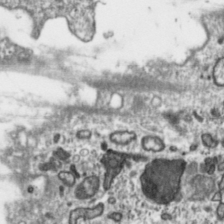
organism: Toxoplasma gondii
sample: Parasites in a vacuole inside a host cell